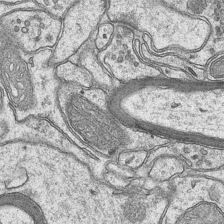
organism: Mouse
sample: CA1 Hippocampus